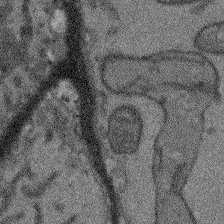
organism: Arabidopsis thaliana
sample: Root tip